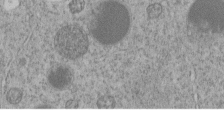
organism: C. elegans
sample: C. elegans embryo early stage